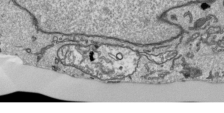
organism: Human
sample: Mitochondria in HCT116 cells